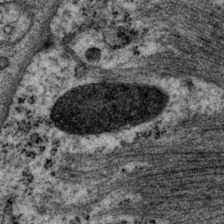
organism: P. pacificus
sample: Pharynx